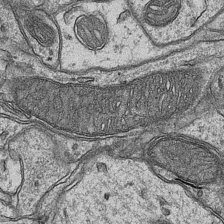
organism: Mouse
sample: CA1 Hippocampus